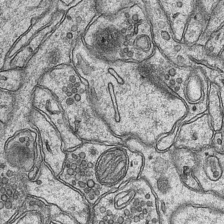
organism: Mouse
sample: CA1 Hippocampus